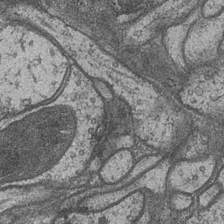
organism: Drosophila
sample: Optic medulla